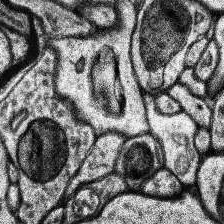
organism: Human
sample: Temporal Lobe